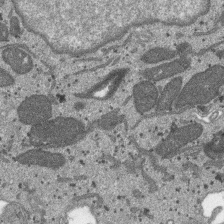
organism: Human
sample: Lung epithelial cells infected with SARS-CoV-2